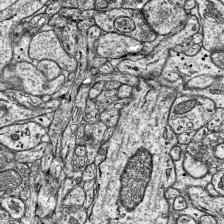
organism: Mouse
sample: Visual Cortex